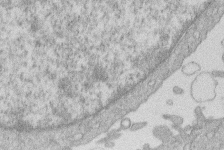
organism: Human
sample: Macrophage cells